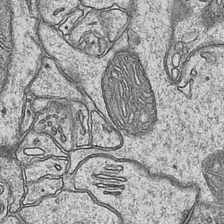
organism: Mouse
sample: CA1 Hippocampus